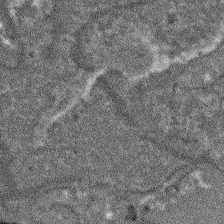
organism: Arabidopsis thaliana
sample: Root tip